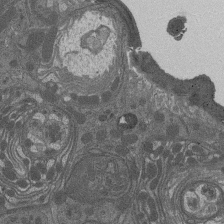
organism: Drosophila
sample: Antenna